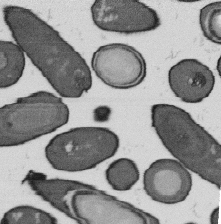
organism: B. subtilis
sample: Bacterial spore